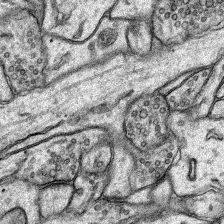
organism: Rat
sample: Hippocampus